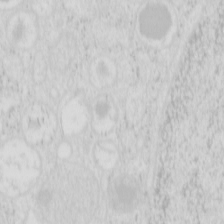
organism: Mouse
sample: Pancreas